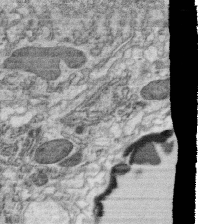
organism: C. elegans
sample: C. elegans oocyte; sperm cells